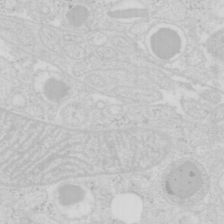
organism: Mouse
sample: Pancreas